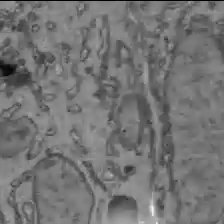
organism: C57BL Mouse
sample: Liver